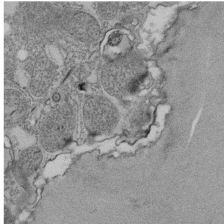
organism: Tetrahymena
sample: Cilia in tetrahymena